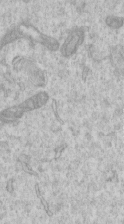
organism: Human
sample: Centriole in RPE cells